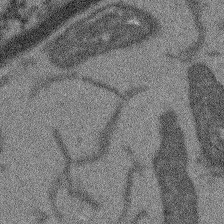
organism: Arabidopsis thaliana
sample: Root tip